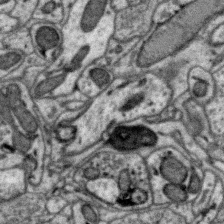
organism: Zebra finch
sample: Brain